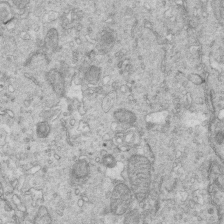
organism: Mouse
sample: Multiciliated cells